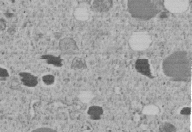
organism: C. elegans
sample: C. elegans embryo early stage